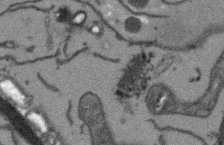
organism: Arabidopsis thaliana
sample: Root tip